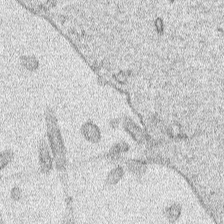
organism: Human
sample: Mitochondria in HCT116 cells